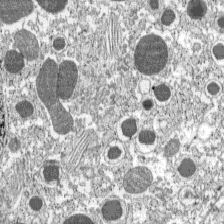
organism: C57BL Mouse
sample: Pancreatic islet